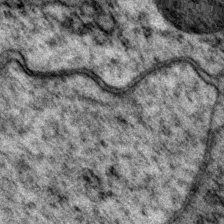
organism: P. pacificus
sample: Pharynx